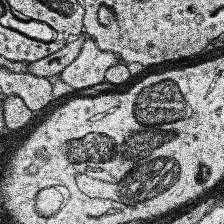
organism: Human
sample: Temporal Lobe